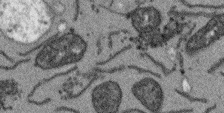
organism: Arabidopsis thaliana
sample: Root tip